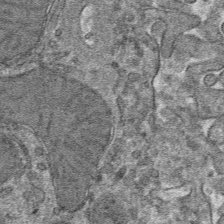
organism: Mouse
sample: Mouse hepatocytes